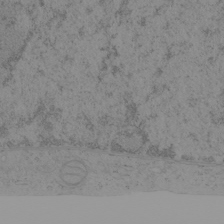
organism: Human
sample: HeLa cells